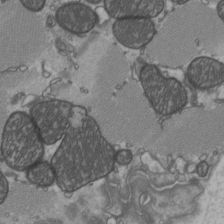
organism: C57BL Mouse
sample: Heart